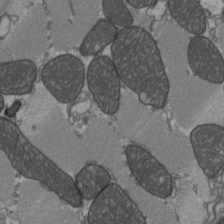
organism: C57BL Mouse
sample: Heart